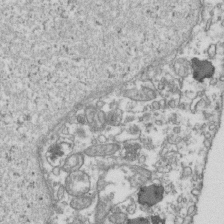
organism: Human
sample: Activated Jurkat CD4+ T cells